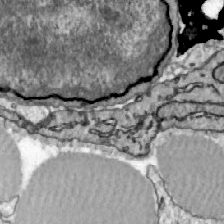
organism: Zebrafish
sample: Actinotrichia fibers